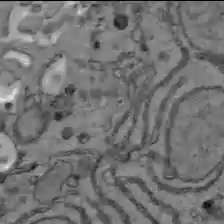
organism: C57BL Mouse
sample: Liver